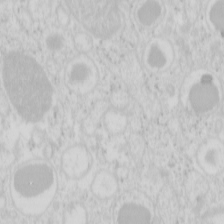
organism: Mouse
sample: Pancreas